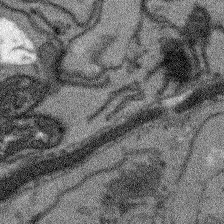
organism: Arabidopsis thaliana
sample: Root tip